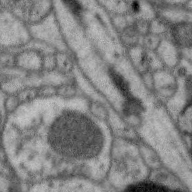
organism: Zebra finch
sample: Brain